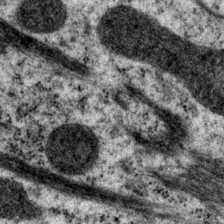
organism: P. pacificus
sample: Pharynx